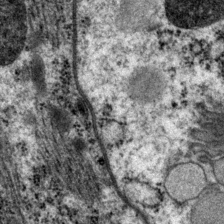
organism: P. pacificus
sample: Pharynx